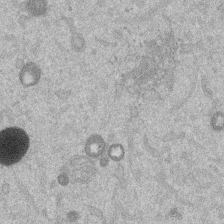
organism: Mouse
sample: Dividing mouse embryo 1 cell stage